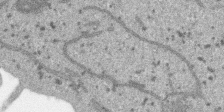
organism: Human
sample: Lung epithelial cells infected with SARS-CoV-2